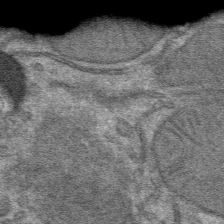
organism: Mouse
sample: Mouse hepatocytes